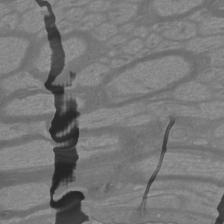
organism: Mouse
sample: Cortical neurons